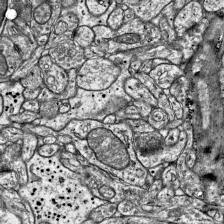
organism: Mouse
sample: Visual Cortex